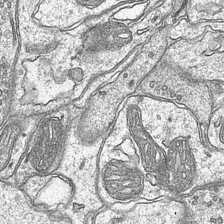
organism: Mouse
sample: CA1 Hippocampus